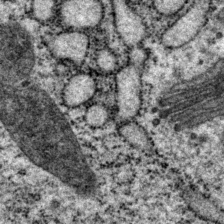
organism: P. pacificus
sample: Pharynx